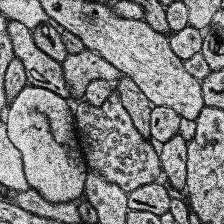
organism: Human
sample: Temporal Lobe